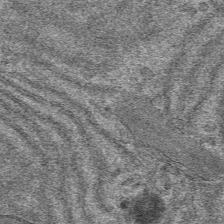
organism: Mouse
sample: Mouse hepatocytes